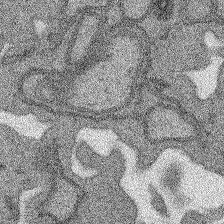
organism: Human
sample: HeLa cells